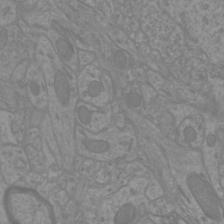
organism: Mouse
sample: Cortical neurons